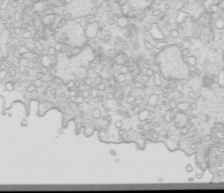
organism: Mouse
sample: Multiciliated cells